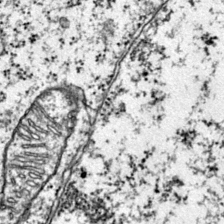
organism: Mouse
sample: Primary visual cortex